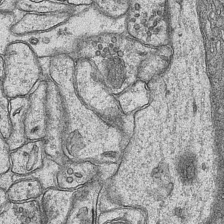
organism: Mouse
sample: CA1 Hippocampus